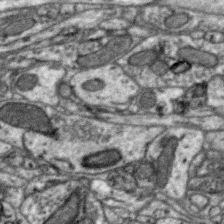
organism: Zebra finch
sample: Brain